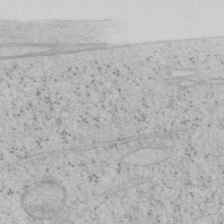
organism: Human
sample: HeLa cells